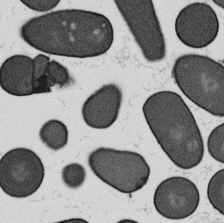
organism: B. subtilis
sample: Bacterial spore